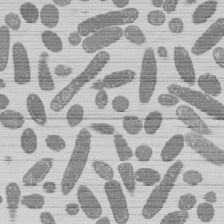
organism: E. coli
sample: Bacterial nucleoid